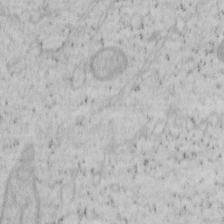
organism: Human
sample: HeLa cells